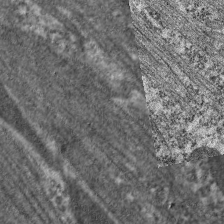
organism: C. elegans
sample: Pharynx